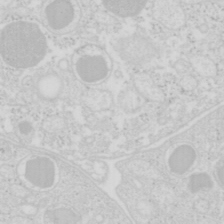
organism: Mouse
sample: Pancreas